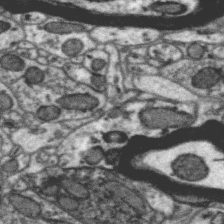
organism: Zebra finch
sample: Brain